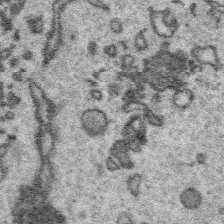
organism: Platynereis dumerilii